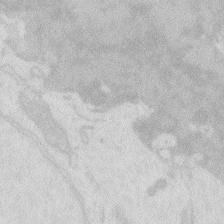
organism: Zebrafish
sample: Macrophage